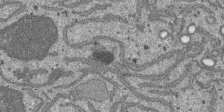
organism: Human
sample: Lung epithelial cells infected with SARS-CoV-2